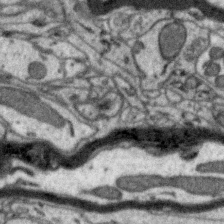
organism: Zebra finch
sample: Brain